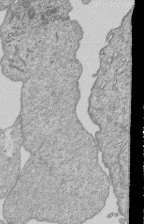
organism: Human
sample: MDA-MB-231 cells